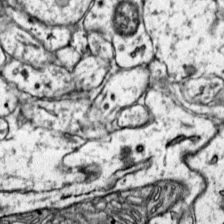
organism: Mouse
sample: Primary visual cortex